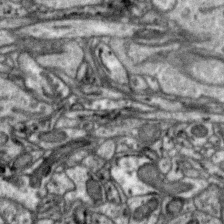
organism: Zebra finch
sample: Brain